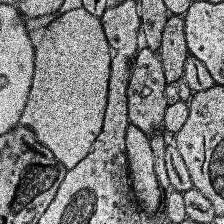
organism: Human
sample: Temporal Lobe